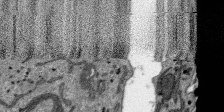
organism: Human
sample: Lung epithelial cells, uninfected (mock) control